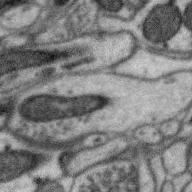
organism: Zebra finch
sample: Brain